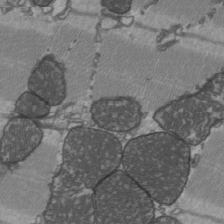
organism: C57BL Mouse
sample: Heart